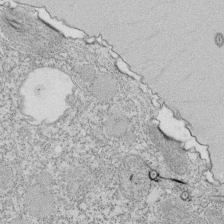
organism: Tetrahymena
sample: Cilia in tetrahymena